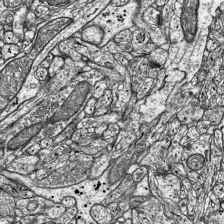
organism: Mouse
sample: Visual Cortex